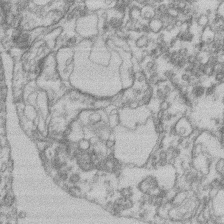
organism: Mouse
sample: T cell stromal cell synapse